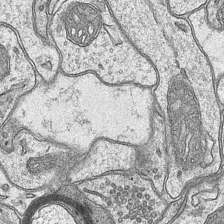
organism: Mouse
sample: CA1 Hippocampus